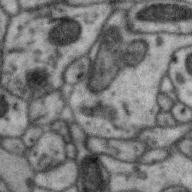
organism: Zebra finch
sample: Brain